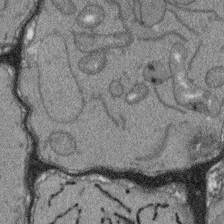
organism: Arabidopsis thaliana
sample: Root tip